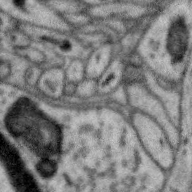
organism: Zebra finch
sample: Brain